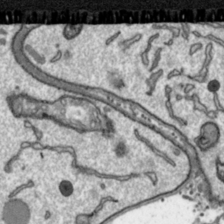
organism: Toxoplasma gondii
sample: Parasites in a vacuole inside a host cell